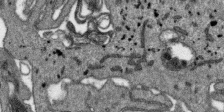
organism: Human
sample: Lung epithelial cells, uninfected (mock) control